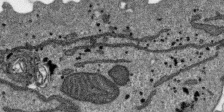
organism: Human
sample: Lung epithelial cells, uninfected (mock) control